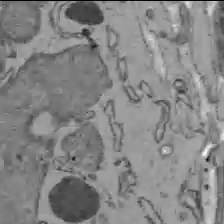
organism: C57BL Mouse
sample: Liver